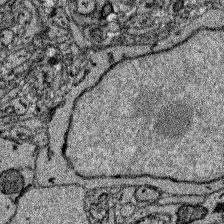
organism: Zebrafish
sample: Larval olfactory bulb